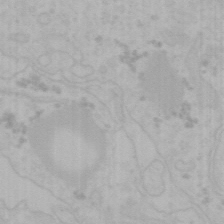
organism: Mouse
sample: Choroid plexus